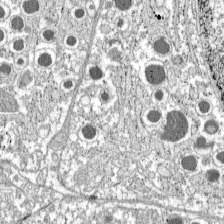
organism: C57BL Mouse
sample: Pancreatic islet